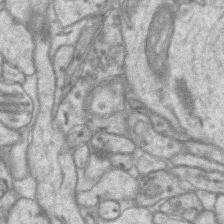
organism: Mouse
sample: CA1 Hippocampus